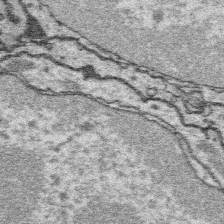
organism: Platynereis dumerilii